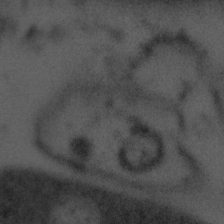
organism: Tuwongella immobilis